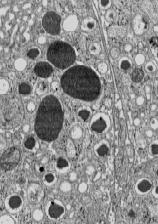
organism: C57BL Mouse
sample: Pancreatic islet